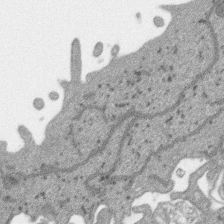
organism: Human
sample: Lung epithelial cells infected with SARS-CoV-2